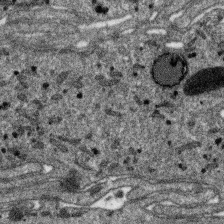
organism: Human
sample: Lung epithelial cells infected with SARS-CoV-2